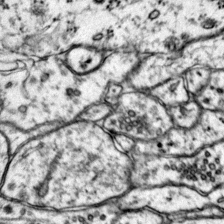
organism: Mouse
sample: Primary visual cortex